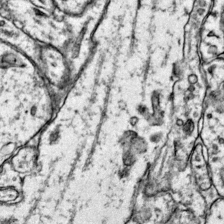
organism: Mouse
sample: Primary visual cortex